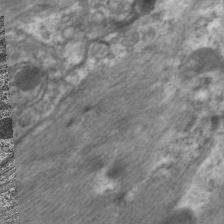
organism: C. elegans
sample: Pharynx